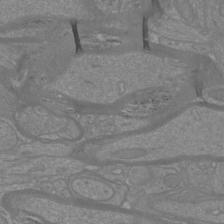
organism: Mouse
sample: Cortical neurons